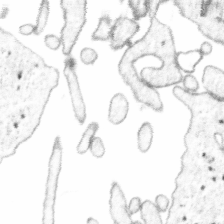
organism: Human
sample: HeLa cells